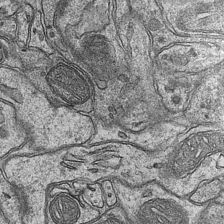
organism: Mouse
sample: CA1 Hippocampus